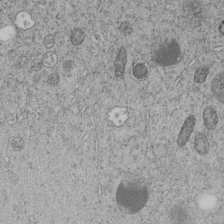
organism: C. elegans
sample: C. elegans embryo early stage